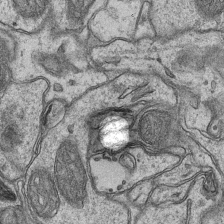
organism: Mouse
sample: CA1 Hippocampus